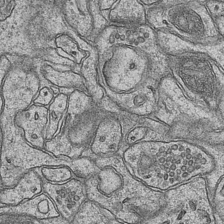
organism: Mouse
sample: CA1 Hippocampus